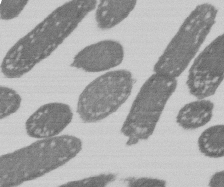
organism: E. coli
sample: Bacterial nucleoid